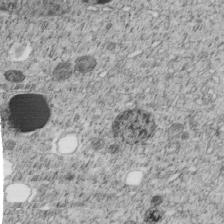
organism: C. elegans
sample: C. elegans embryo early stage